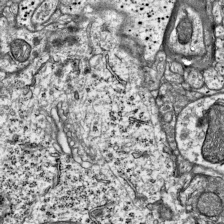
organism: Mouse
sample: Visual Cortex